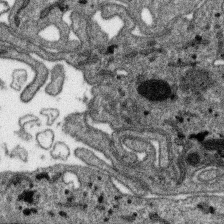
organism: Human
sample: Lung epithelial cells infected with SARS-CoV-2